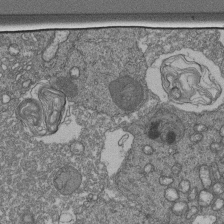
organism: Human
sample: Retinal organoid Rod and Cone cells